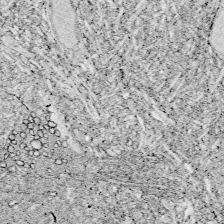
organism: Zebrafish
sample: Whole-Brain